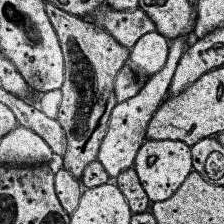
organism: Human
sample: Temporal Lobe